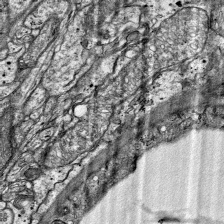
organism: Mouse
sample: Visual Cortex